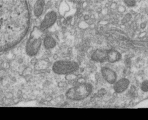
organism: Human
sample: Centriole in RPE cells